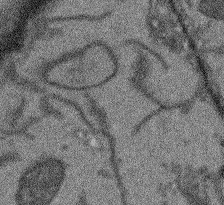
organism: Arabidopsis thaliana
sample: Root tip